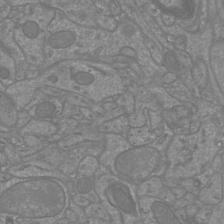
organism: Mouse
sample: Cortical neurons